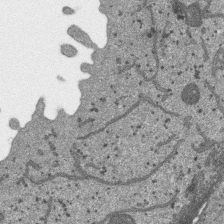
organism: Human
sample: Lung epithelial cells infected with SARS-CoV-2